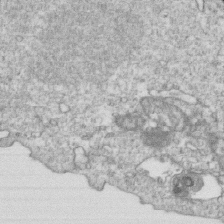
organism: Mouse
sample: Activated OT-1 CD8+ T cells